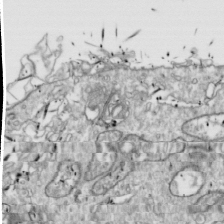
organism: Drosophila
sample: Cell division; meiosis; drosophila spermatocytes